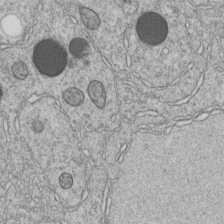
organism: C. elegans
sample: C. elegans embryo early stage